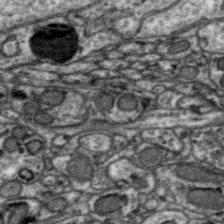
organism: Zebra finch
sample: Brain